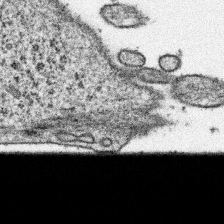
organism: Human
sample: HeLa cells